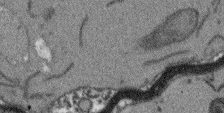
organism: Arabidopsis thaliana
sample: Root tip